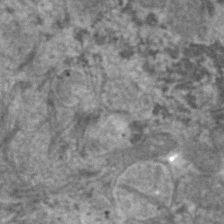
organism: Human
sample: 1205lu cells